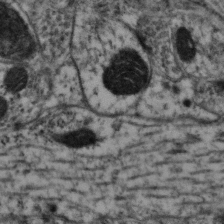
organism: Mouse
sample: Neocortex